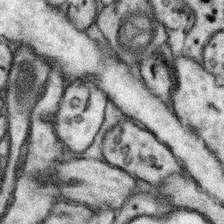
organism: Mouse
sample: Somatosensory cortex neuropil